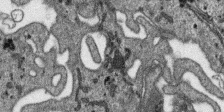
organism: Human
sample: Lung epithelial cells infected with SARS-CoV-2